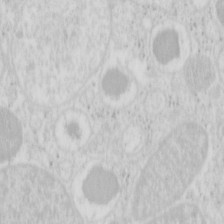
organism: Mouse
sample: Pancreas